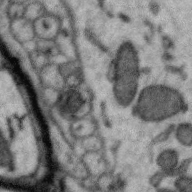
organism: Zebra finch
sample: Brain